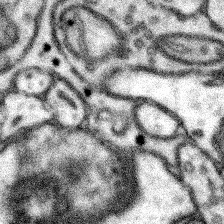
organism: Mouse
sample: Somatosensory cortex neuropil